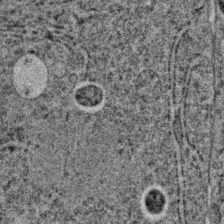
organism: C. elegans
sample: C. elegans embryo